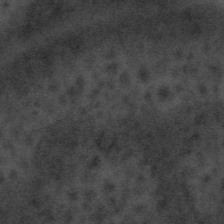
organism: Tuwongella immobilis